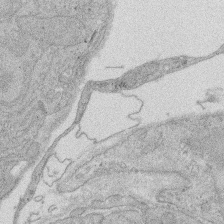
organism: Rat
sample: Salivary granule